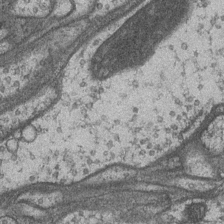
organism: Drosophila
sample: Optic medulla